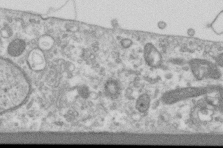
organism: Human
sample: Centriole in RPE cells